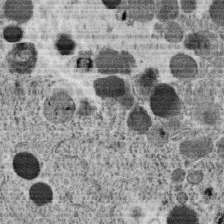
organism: C. elegans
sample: C. elegans oocyte; sperm cells